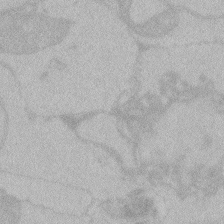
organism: Zebrafish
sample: Macrophage infected with Toxoplasma gondii